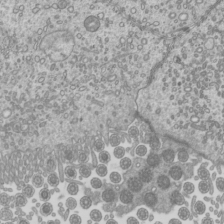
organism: Mouse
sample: Cilia; mouse epididymis